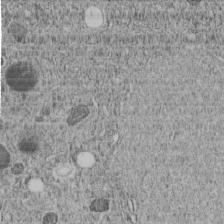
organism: C. elegans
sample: C. elegans embryo early stage